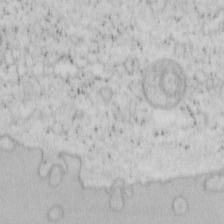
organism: Human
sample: HeLa cells